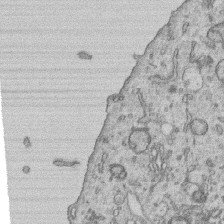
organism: Human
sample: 1205lu cells